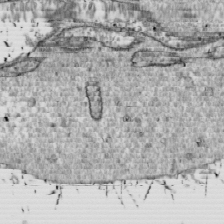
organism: Drosophila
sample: Cell division; meiosis; drosophila spermatocytes